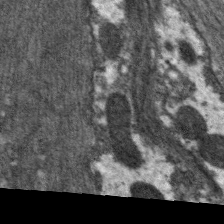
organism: C. elegans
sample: Pharynx